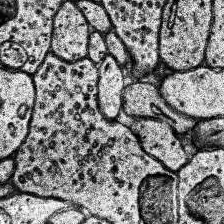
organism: Human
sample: Temporal Lobe